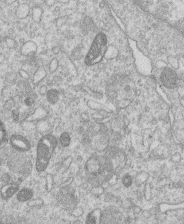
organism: Human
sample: Macrophage cells